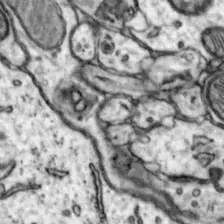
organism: Mouse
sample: Nucleus accumbens